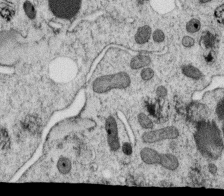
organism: C. elegans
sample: C. elegans oocyte; sperm cells